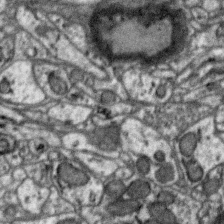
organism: Zebra finch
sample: Brain